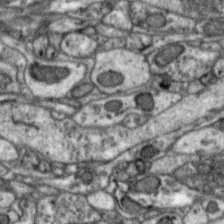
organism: Zebra finch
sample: Brain